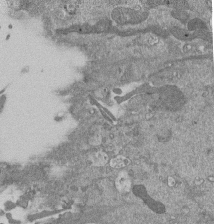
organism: Mouse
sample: ED-1 cell nuclei; centrioles